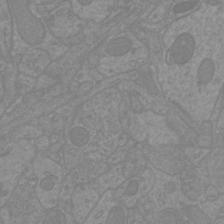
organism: Mouse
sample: Cortical neurons